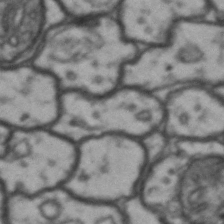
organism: Drosophila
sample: Brain